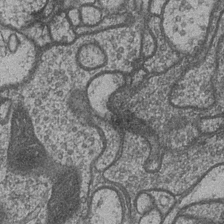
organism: Drosophila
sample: Optic medulla